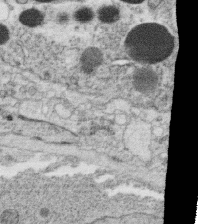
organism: C. elegans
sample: C. elegans oocyte; sperm cells